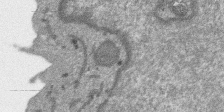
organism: Human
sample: Lung epithelial cells infected with SARS-CoV-2